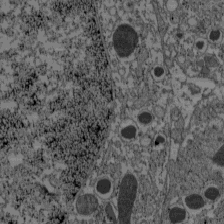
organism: C57BL Mouse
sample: Pancreatic islet